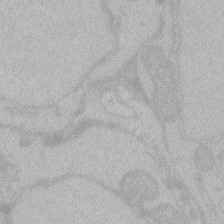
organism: Zebrafish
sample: Macrophage infected with Toxoplasma gondii